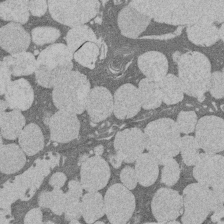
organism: Rat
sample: Salivary granule